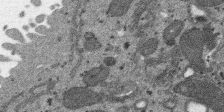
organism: Human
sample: Lung epithelial cells infected with SARS-CoV-2